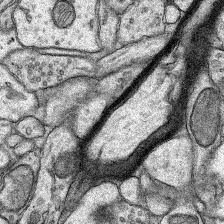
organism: Rat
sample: Hippocampus